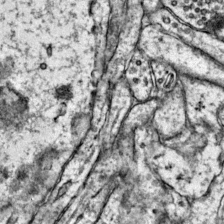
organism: Mouse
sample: Primary visual cortex